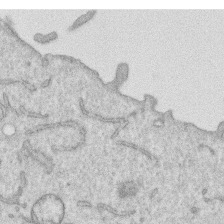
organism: Human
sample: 1205lu cells